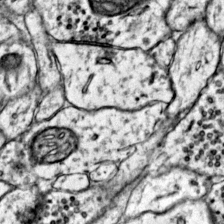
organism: Mouse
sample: Primary visual cortex